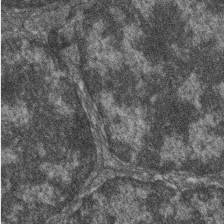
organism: Zebrafish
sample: Cilia; retinal pigment epithelium